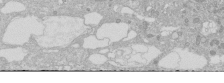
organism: Human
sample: Caco-2 cells